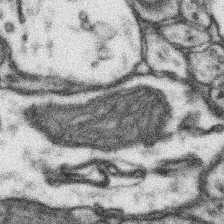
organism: Mouse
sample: Somatosensory cortex neuropil